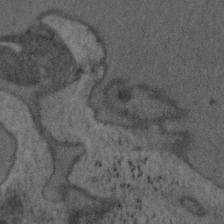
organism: Human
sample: HeLa cells